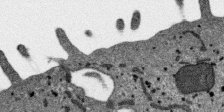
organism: Human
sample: Lung epithelial cells, uninfected (mock) control